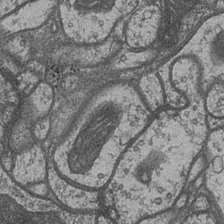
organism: Drosophila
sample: Optic medulla